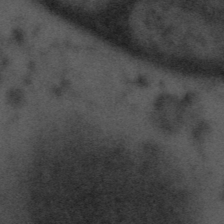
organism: Tuwongella immobilis